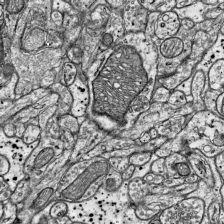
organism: Mouse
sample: Visual Cortex